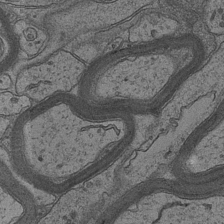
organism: Mouse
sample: CA1 Hippocampus